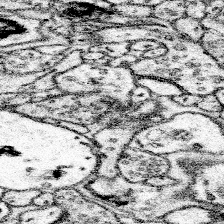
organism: Mouse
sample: Somatosensory cortex neuropil